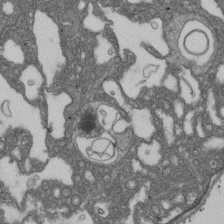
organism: Drosophila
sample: Nephrocyte